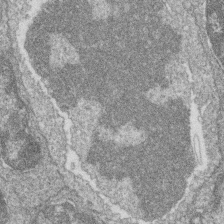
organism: Zebrafish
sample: Cilia; retinal pigment epithelium